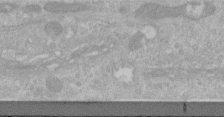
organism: Human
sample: Centriole in RPE cells